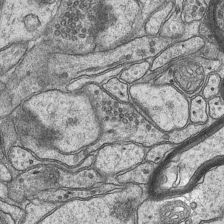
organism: Mouse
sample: CA1 Hippocampus